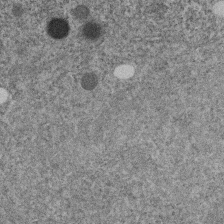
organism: C. elegans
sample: C. elegans embryo early stage